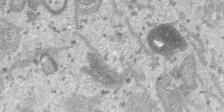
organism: Human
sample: Lung epithelial cells infected with SARS-CoV-2